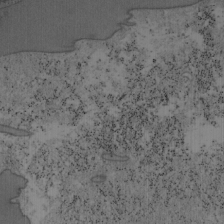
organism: Mouse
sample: OT-I killer T cells with ID8 ovarian cancer cells